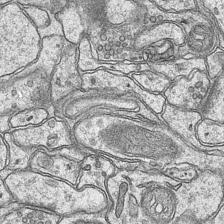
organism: Mouse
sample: CA1 Hippocampus